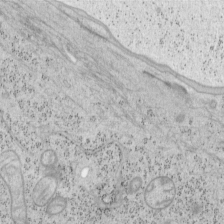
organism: Mouse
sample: OT-I killer T cells with ID8 ovarian cancer cells